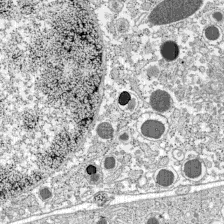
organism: C57BL Mouse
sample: Pancreatic islet